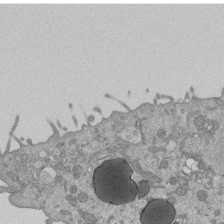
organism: Mouse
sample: ED-1 cell nuclei; centrioles